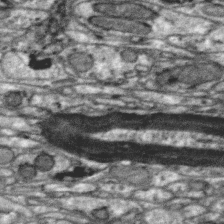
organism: Zebra finch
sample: Brain